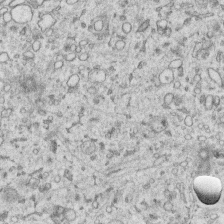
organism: Human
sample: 1205lu cells